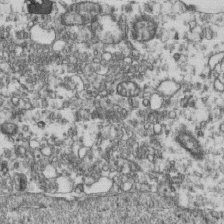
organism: Human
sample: Activated Jurkat CD4+ T cells